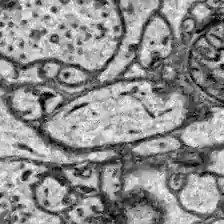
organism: Zebrafish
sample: Brain